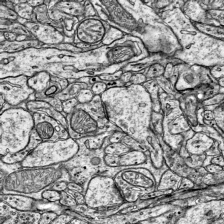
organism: Mouse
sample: Visual Cortex